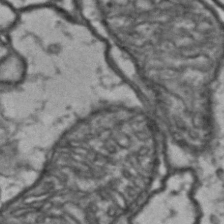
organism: Drosophila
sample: Brain